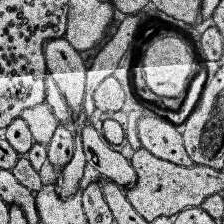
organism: Human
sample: Temporal Lobe